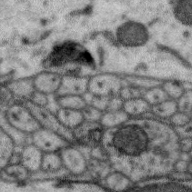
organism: Zebra finch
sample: Brain